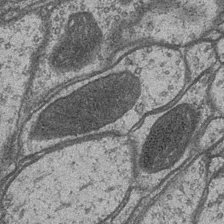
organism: Drosophila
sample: Optic medulla